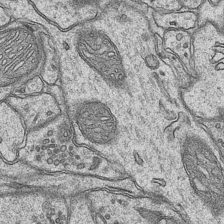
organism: Mouse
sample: CA1 Hippocampus